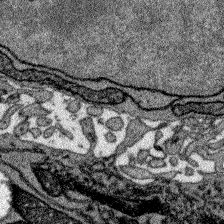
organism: Zebrafish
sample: Larval olfactory bulb